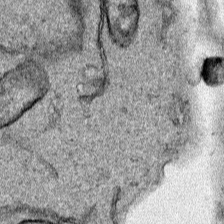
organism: Human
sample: Mitochondria in HCT116 cells